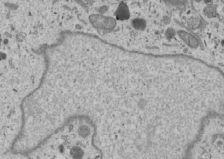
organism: Human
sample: Mitochondria in U2OS cells